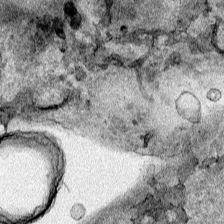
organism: Human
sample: Mitochondria in HCT116 cells